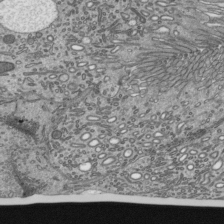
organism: Mouse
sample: Mouse epididymis efferent ductule cilia